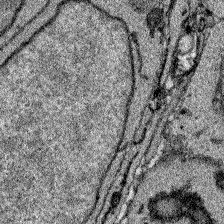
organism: Zebrafish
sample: Larval olfactory bulb